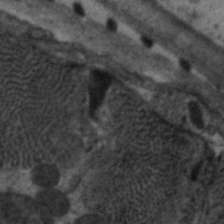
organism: C. elegans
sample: Pharynx